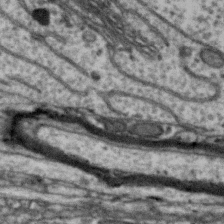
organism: Zebra finch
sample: Brain